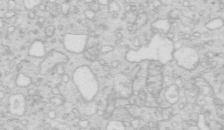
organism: Mouse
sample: Multiciliated cells